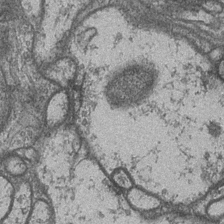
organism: Drosophila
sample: Optic medulla